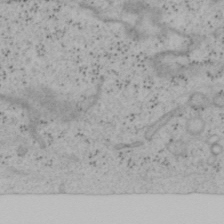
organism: Human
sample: HeLa cells